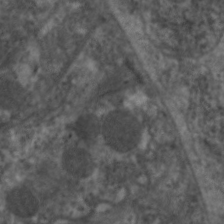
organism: C. elegans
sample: Pharynx